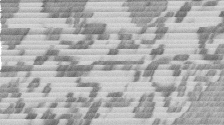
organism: Mouse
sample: Dividing mouse embryo 1 cell stage